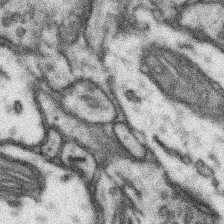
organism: Mouse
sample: Somatosensory cortex neuropil